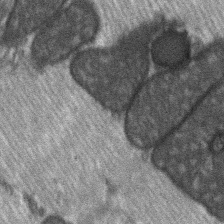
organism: C57BL Mouse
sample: Soleus